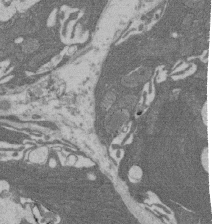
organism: Rat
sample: Salivary granule